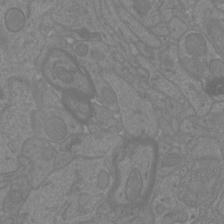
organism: Mouse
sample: Cortical neurons